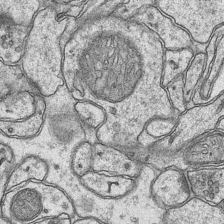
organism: Mouse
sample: CA1 Hippocampus